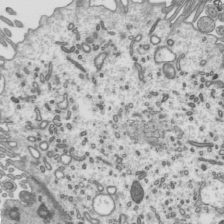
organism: Mouse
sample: Mouse epididymis efferent ductule cilia